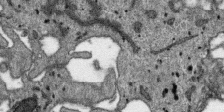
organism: Human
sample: Lung epithelial cells, uninfected (mock) control